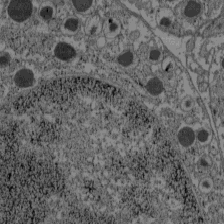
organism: C57BL Mouse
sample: Pancreatic islet